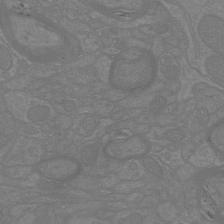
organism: Mouse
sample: Cortical neurons